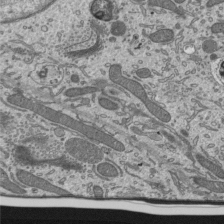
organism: Mouse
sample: Mouse epididymis efferent ductule cilia